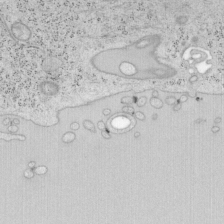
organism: Mouse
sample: OT-I killer T cells with ID8 ovarian cancer cells